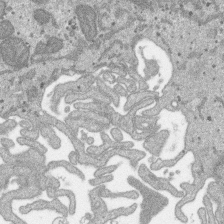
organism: Human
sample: Lung epithelial cells infected with SARS-CoV-2